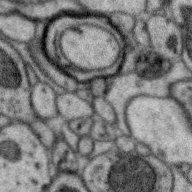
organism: Zebra finch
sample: Brain